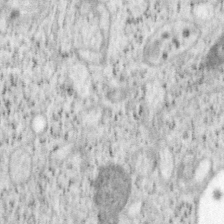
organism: Mouse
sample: OT-I killer T cells with ID8 ovarian cancer cells